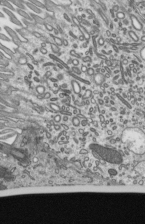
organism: Mouse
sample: Mouse epididymis efferent ductule cilia